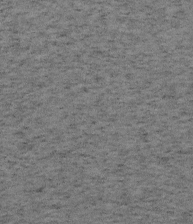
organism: Mouse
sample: OT-I killer T cells with ID8 ovarian cancer cells